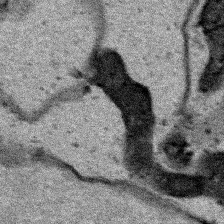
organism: Human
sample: Mitochondria in HCT116 cells